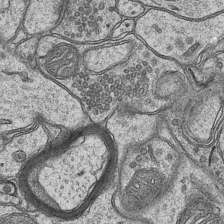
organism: Mouse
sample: CA1 Hippocampus